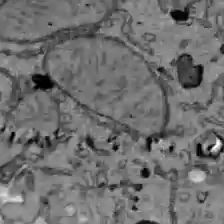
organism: C57BL Mouse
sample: Liver